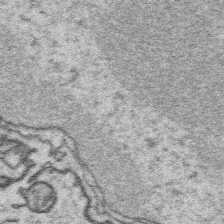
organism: Platynereis dumerilii